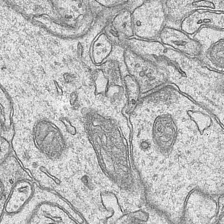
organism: Mouse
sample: CA1 Hippocampus